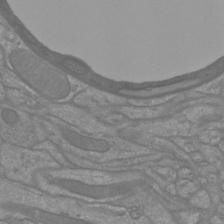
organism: Mouse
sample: Cortical neurons